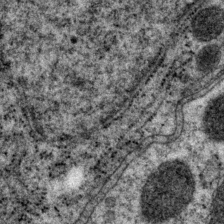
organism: P. pacificus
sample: Pharynx